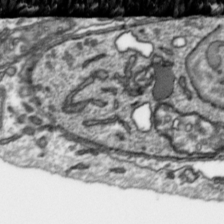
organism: Toxoplasma gondii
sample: Parasites in a vacuole inside a host cell